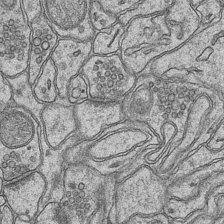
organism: Mouse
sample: CA1 Hippocampus